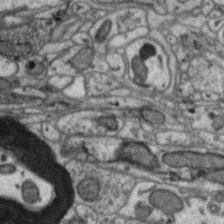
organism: Zebra finch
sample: Brain